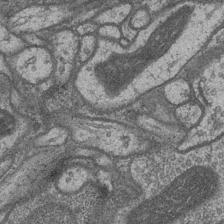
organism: Drosophila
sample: Optic medulla